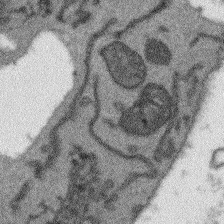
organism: Arabidopsis thaliana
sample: Root tip